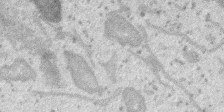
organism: Human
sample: Lung epithelial cells infected with SARS-CoV-2